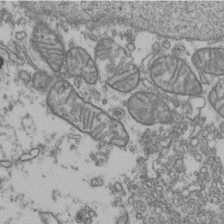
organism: Human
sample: Activated Jurkat CD4+ T cells